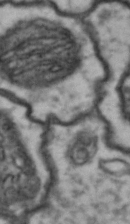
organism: Drosophila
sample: Brain